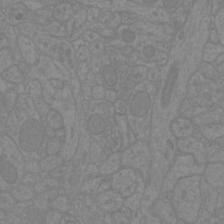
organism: Mouse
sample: Cortical neurons